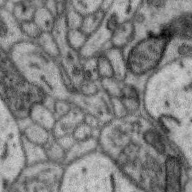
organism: Zebra finch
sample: Brain